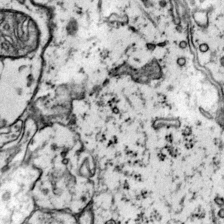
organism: Mouse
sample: Primary visual cortex